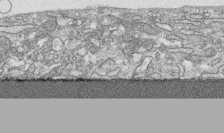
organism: Human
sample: CRL-1474